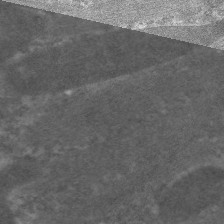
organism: C. elegans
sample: Pharynx